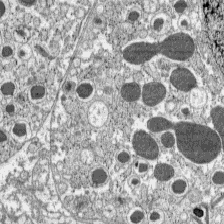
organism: C57BL Mouse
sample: Pancreatic islet